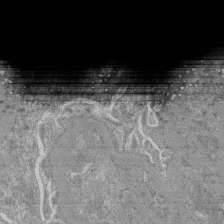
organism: Mouse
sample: Glomerulus